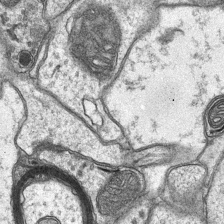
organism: Mouse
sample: CA1 Hippocampus